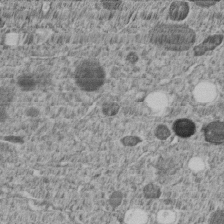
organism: C. elegans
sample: C. elegans embryo early stage